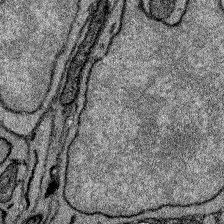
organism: Zebrafish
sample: Larval olfactory bulb